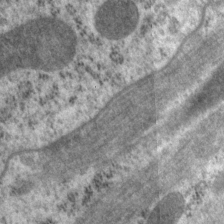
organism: P. pacificus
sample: Pharynx